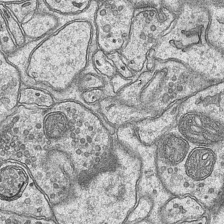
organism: Mouse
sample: CA1 Hippocampus